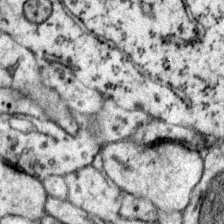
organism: Mouse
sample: Primary visual cortex